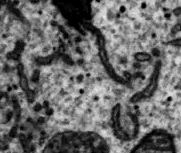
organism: Human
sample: HeLa cells